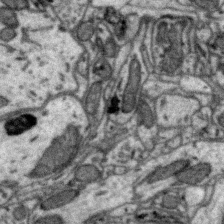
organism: Zebra finch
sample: Brain